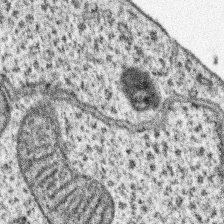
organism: Human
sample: HeLa cells